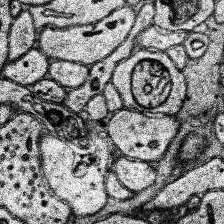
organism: Human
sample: Temporal Lobe